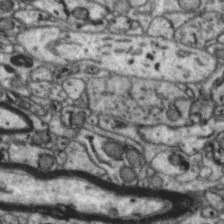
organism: Zebra finch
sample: Brain